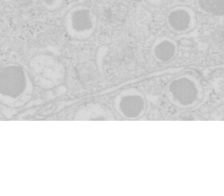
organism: Mouse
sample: Pancreas